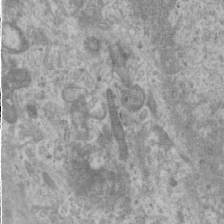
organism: Human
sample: Cilia; basal body in RPE cells